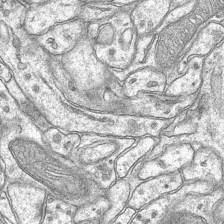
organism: Mouse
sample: CA1 Hippocampus